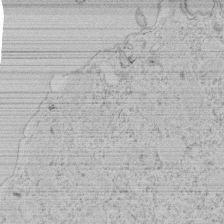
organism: Tetrahymena